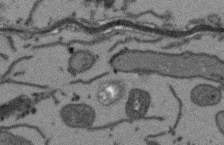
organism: Arabidopsis thaliana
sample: Root tip